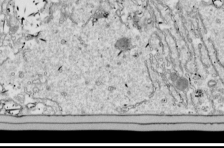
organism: Drosophila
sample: Cell division; meiosis; drosophila spermatocytes